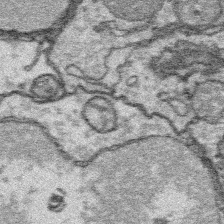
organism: Platynereis dumerilii